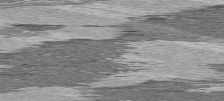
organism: C57BL Mouse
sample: Heart